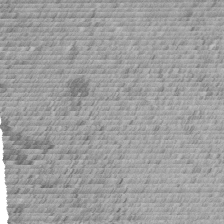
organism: C. elegans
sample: C. elegans embryo early stage